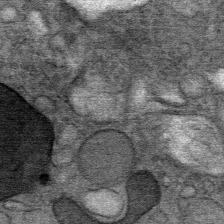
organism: Mouse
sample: Mouse Salivary gland